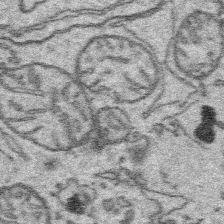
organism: Platynereis dumerilii